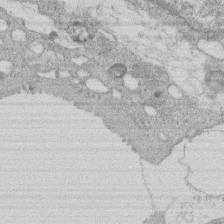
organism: Human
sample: Macrophage cells